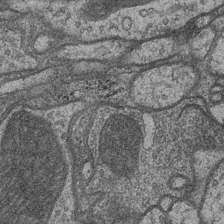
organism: Drosophila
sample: Optic medulla